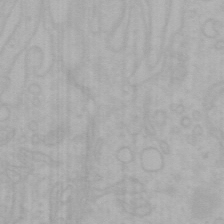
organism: Mouse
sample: Choroid plexus